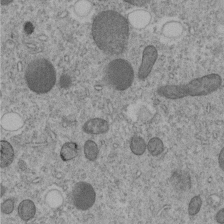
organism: C. elegans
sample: C. elegans embryo early stage